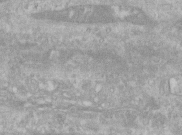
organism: Human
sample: Centriole in RPE cells